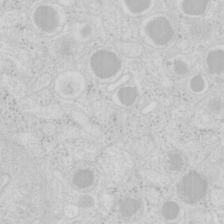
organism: Mouse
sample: Pancreas